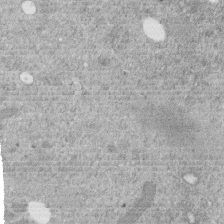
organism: C. elegans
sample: C. elegans embryo early stage